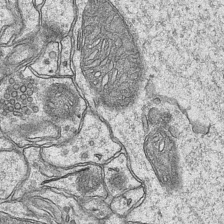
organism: Mouse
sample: CA1 Hippocampus